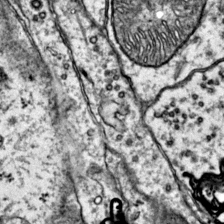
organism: Mouse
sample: Primary visual cortex